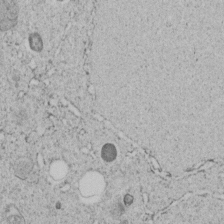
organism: C. elegans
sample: C. elegans embryo early stage